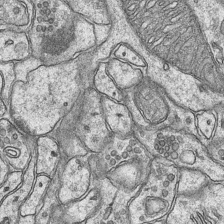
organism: Mouse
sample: CA1 Hippocampus